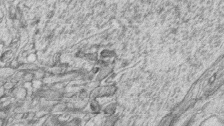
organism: Zebrafish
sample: synaptic ribbons in rod cells and cone cells